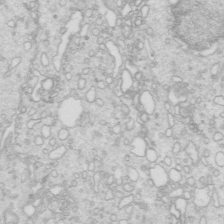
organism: Mouse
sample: Multiciliated cells